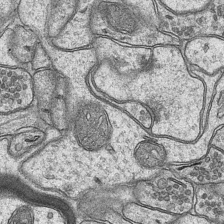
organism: Mouse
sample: CA1 Hippocampus